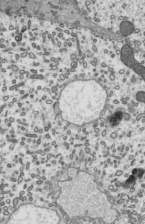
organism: Mouse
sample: Mouse epididymis efferent ductule cilia